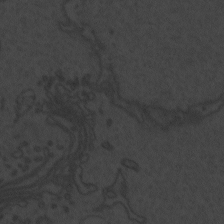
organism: Zebrafish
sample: Macrophage infected with Toxoplasma gondii